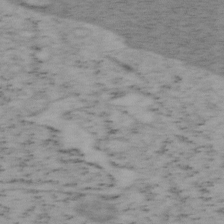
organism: Mouse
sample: OT-I killer T cells with ID8 ovarian cancer cells